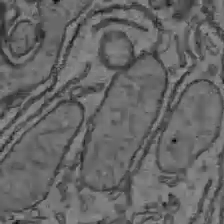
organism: C57BL Mouse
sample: Liver